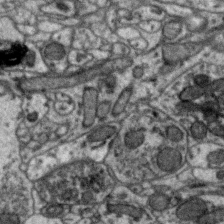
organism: Zebra finch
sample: Brain